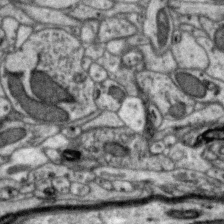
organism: Zebra finch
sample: Brain